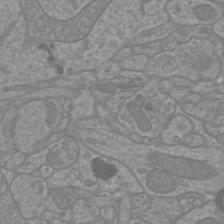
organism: Mouse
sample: Cortical neurons